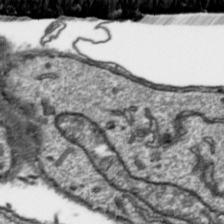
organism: Toxoplasma gondii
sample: Parasites in a vacuole inside a host cell